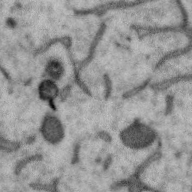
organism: Zebra finch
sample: Brain